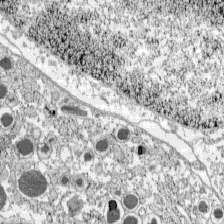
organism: C57BL Mouse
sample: Pancreatic islet